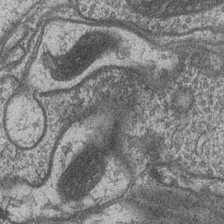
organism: Drosophila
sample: Optic medulla